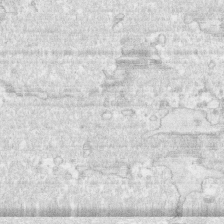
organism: Human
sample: CRL-1474